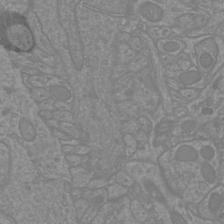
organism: Mouse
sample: Cortical neurons